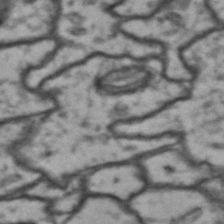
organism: Drosophila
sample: Brain